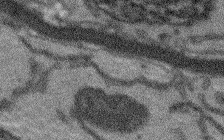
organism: Arabidopsis thaliana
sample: Root tip